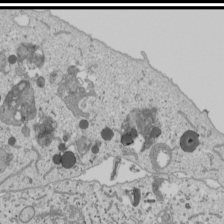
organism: Human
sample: Mitochondria in U2OS cells